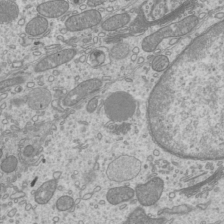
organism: Mouse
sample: Cilia; mouse epididymis